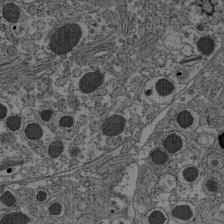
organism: C57BL Mouse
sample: Pancreatic islet